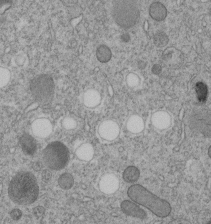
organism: C. elegans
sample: C. elegans embryo early stage